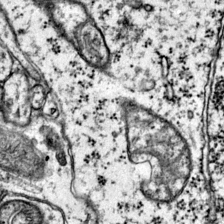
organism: Mouse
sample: Primary visual cortex